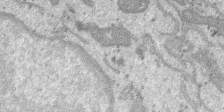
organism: Human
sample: Lung epithelial cells infected with SARS-CoV-2